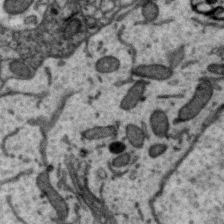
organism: Zebra finch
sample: Brain